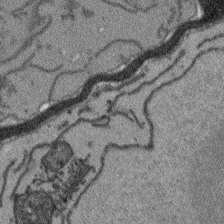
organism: Arabidopsis thaliana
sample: Root tip